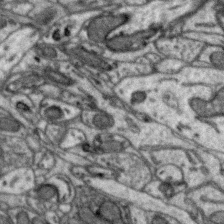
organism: Zebra finch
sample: Brain